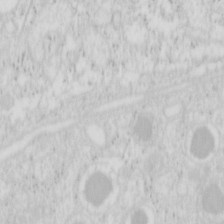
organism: Mouse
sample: Pancreas